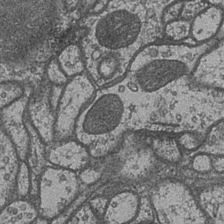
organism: Drosophila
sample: Optic medulla